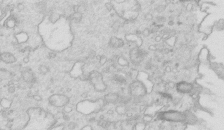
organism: Mouse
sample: Multiciliated cells